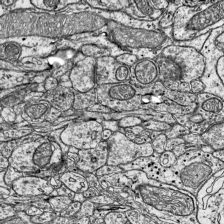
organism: Mouse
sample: Visual Cortex